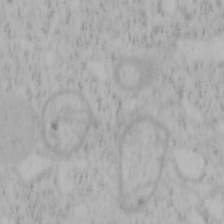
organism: Mouse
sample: OT-I killer T cells with ID8 ovarian cancer cells